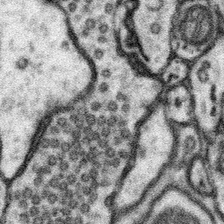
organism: Mouse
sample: Somatosensory cortex neuropil